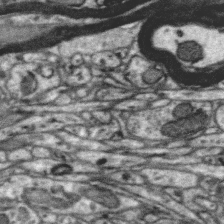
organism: Zebra finch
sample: Brain